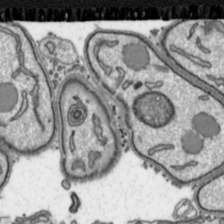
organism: Toxoplasma gondii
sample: Parasites in a vacuole inside a host cell